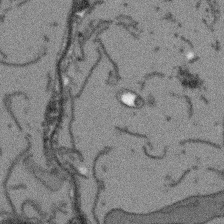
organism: Arabidopsis thaliana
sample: Root tip